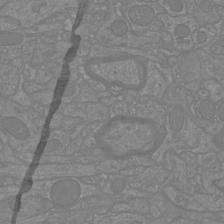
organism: Mouse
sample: Cortical neurons